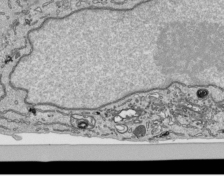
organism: Human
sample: Mitochondria in HCT116 cells